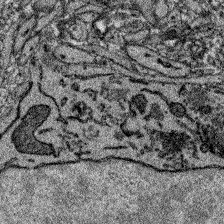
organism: Zebrafish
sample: Larval olfactory bulb